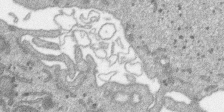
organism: Human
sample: Lung epithelial cells infected with SARS-CoV-2